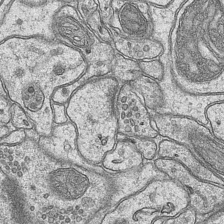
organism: Mouse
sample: CA1 Hippocampus